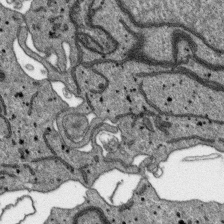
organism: Human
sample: Lung epithelial cells, uninfected (mock) control